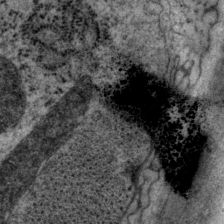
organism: P. pacificus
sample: Pharynx